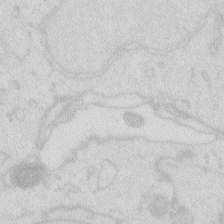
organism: Zebrafish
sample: Macrophage